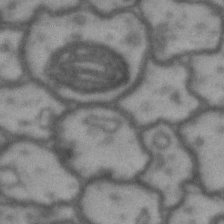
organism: Drosophila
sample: Brain